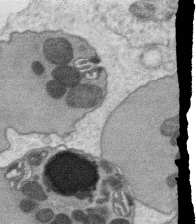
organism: C. elegans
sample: C. elegans oocyte; sperm cells